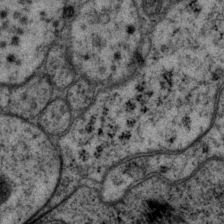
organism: P. pacificus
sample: Pharynx